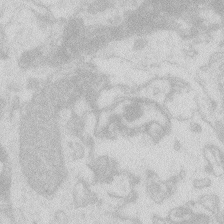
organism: Zebrafish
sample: Macrophage